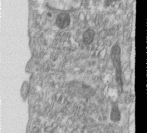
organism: Human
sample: Centriole in RPE cells